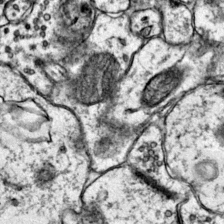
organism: Mouse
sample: Primary visual cortex